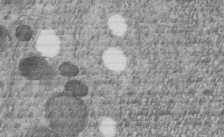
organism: C. elegans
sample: C. elegans embryo early stage